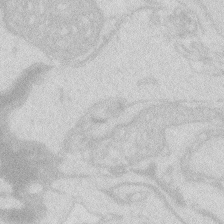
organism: Zebrafish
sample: Macrophage